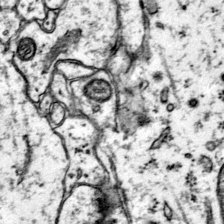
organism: Mouse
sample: Primary visual cortex